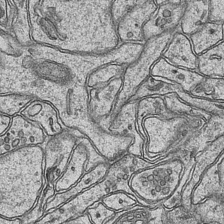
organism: Mouse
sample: CA1 Hippocampus